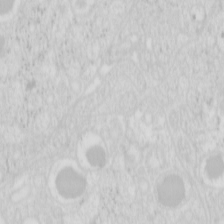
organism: Mouse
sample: Pancreas